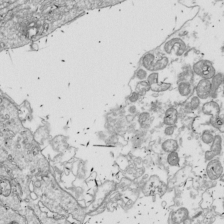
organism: Drosophila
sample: Cell division; meiosis; drosophila spermatocytes